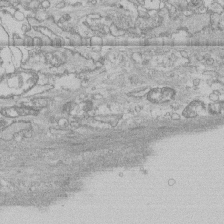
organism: Human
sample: CRL-1474